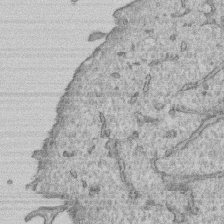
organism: Human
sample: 1205lu cells